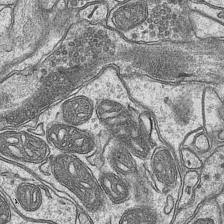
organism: Mouse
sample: CA1 Hippocampus